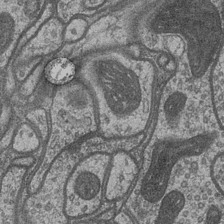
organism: Drosophila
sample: Optic medulla